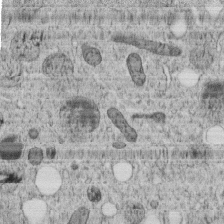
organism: C. elegans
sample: C. elegans embryo early stage